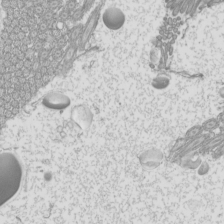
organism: Mouse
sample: Cilia; mouse epididymis